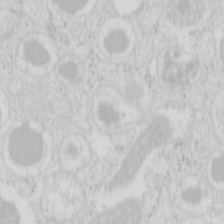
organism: Mouse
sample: Pancreas